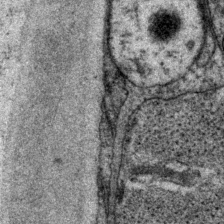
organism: P. pacificus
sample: Pharynx